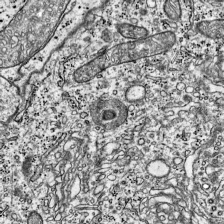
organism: Mouse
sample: Visual Cortex